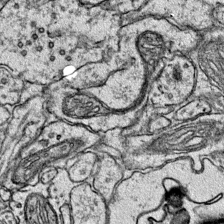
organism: Mouse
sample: Primary visual cortex